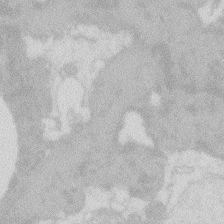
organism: Zebrafish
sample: Macrophage